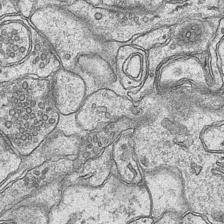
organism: Mouse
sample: CA1 Hippocampus